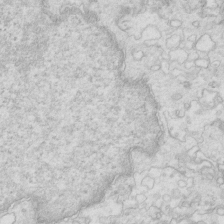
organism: Mouse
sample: Multiciliated cells